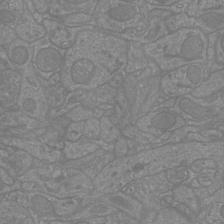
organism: Mouse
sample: Cortical neurons